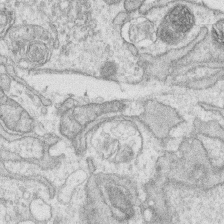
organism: Human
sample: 1205lu cells